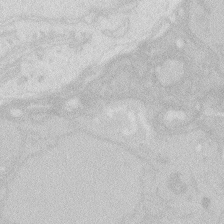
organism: Zebrafish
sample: Macrophage